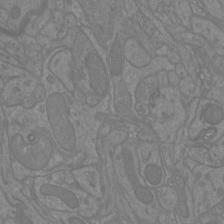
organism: Mouse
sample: Cortical neurons